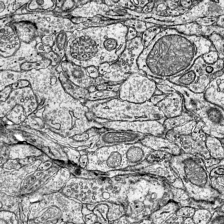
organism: Mouse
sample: Visual Cortex